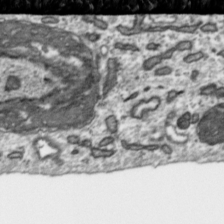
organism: Toxoplasma gondii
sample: Parasites in a vacuole inside a host cell